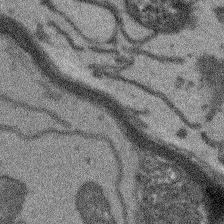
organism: Arabidopsis thaliana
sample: Root tip